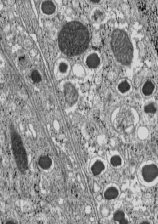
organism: C57BL Mouse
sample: Pancreatic islet